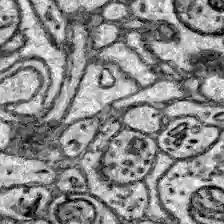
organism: Zebrafish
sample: Brain